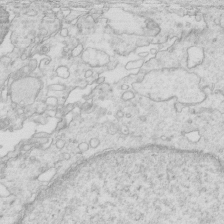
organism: Mouse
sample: Multiciliated cells